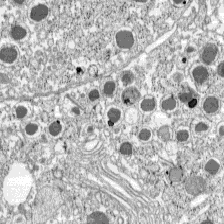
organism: C57BL Mouse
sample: Pancreatic islet